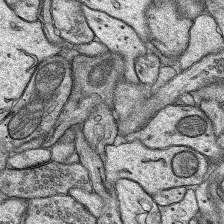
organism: Rat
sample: Hippocampus